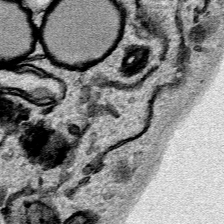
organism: Human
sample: Mitochondria in HCT116 cells